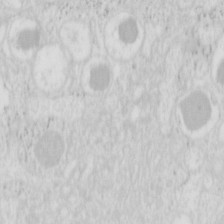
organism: Mouse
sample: Pancreas